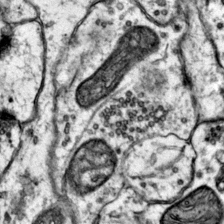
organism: Mouse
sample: Primary visual cortex